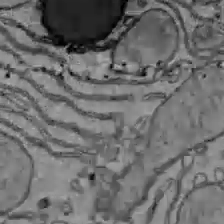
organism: C57BL Mouse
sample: Liver